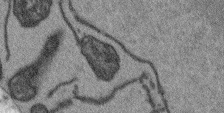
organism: Arabidopsis thaliana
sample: Root tip